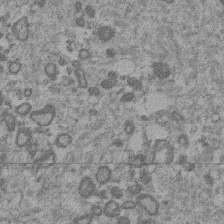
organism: Mouse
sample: Dividing mouse embryo 1 cell stage